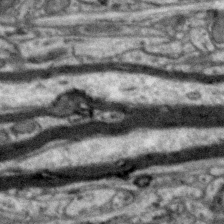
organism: Zebra finch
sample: Brain